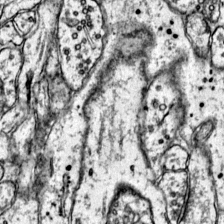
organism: Mouse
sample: Primary visual cortex